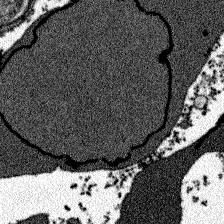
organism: Zebrafish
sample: Larval olfactory bulb